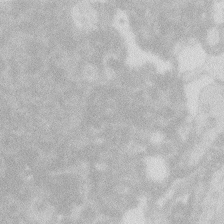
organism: Zebrafish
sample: Macrophage